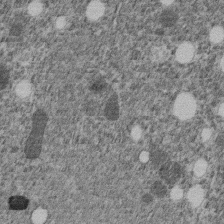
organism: C. elegans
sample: C. elegans embryo early stage